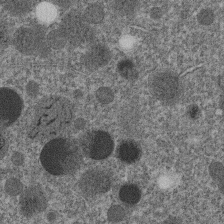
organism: C. elegans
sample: C. elegans embryo early stage